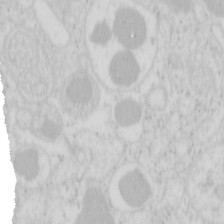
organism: Mouse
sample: Pancreas